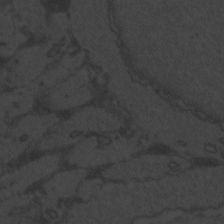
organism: Zebrafish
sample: Macrophage infected with Toxoplasma gondii